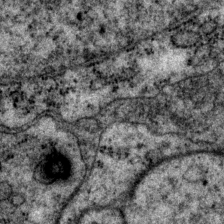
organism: P. pacificus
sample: Pharynx